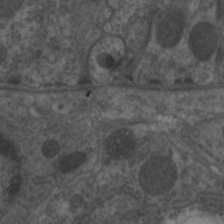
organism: C. elegans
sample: Pharynx